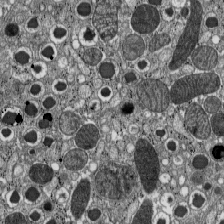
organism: C57BL Mouse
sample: Pancreatic islet